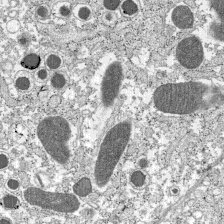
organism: C57BL Mouse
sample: Pancreatic islet